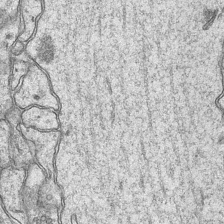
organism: Mouse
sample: CA1 Hippocampus